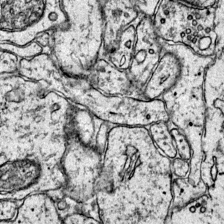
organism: Mouse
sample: Primary visual cortex